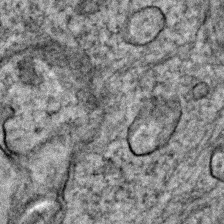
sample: Trachea